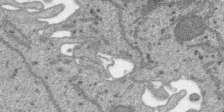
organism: Human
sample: Lung epithelial cells infected with SARS-CoV-2